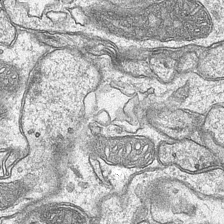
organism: Mouse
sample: CA1 Hippocampus